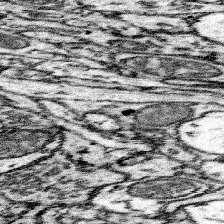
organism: Mouse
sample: Somatosensory cortex neuropil